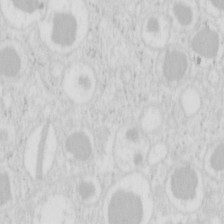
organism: Mouse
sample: Pancreas